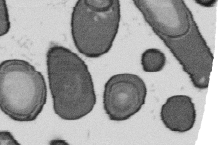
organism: B. subtilis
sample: Bacterial spore